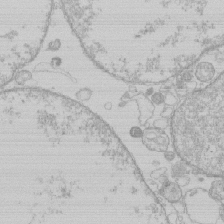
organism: Human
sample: Macrophage cells